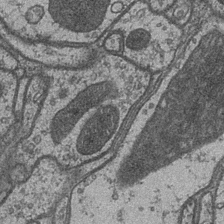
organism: Drosophila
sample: Optic medulla